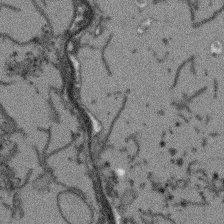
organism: Arabidopsis thaliana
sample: Root tip